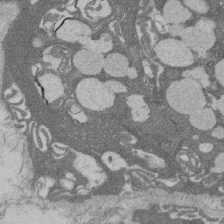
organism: Rat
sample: Salivary granule